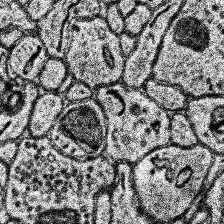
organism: Human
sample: Temporal Lobe